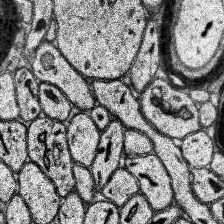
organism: Human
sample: Temporal Lobe